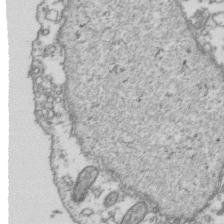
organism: Human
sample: Activated Jurkat CD4+ T cells